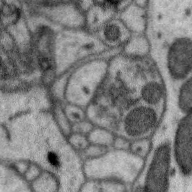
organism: Zebra finch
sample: Brain